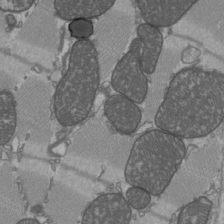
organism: C57BL Mouse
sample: Heart